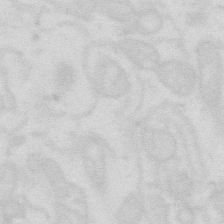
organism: Human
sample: HeLa cells